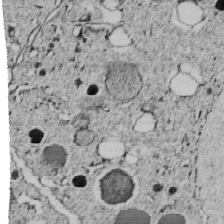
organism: C. elegans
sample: C. elegans embryo early stage